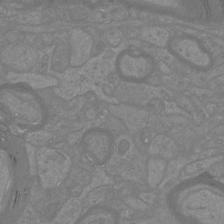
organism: Mouse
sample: Cortical neurons